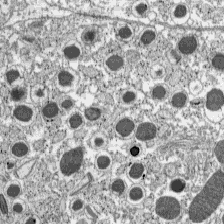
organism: C57BL Mouse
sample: Pancreatic islet